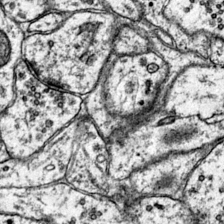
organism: Mouse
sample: Primary visual cortex